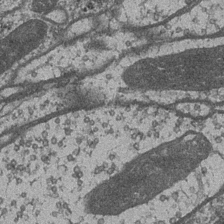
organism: Drosophila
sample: Optic medulla